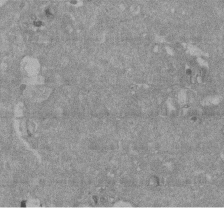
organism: Mouse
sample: ED-1 cell nuclei; centrioles